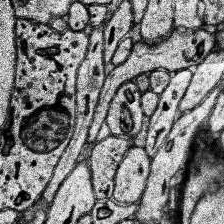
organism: Human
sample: Temporal Lobe